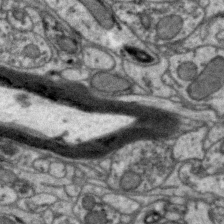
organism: Zebra finch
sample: Brain